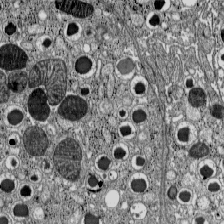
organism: C57BL Mouse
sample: Pancreatic islet